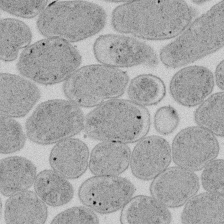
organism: E. coli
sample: Bacterial nucleoid